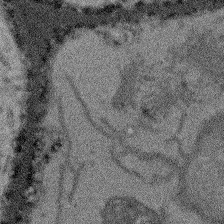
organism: Arabidopsis thaliana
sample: Root tip